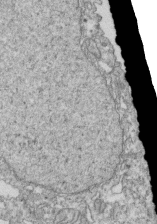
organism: Human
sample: HeLa cell HIV synapse